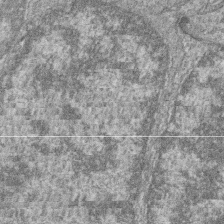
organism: Zebrafish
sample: Cilia; retinal pigment epithelium